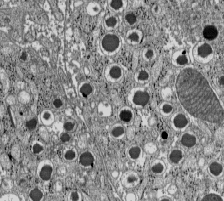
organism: C57BL Mouse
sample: Pancreatic islet